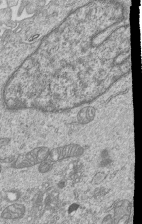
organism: Human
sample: MDA-MB-231 cells